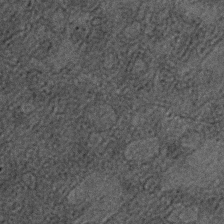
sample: Trachea